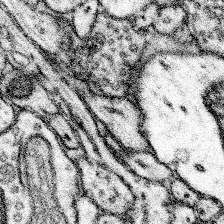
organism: Mouse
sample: Somatosensory cortex neuropil